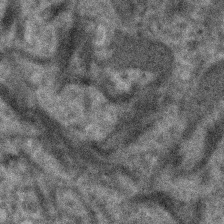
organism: Human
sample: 1205lu cells